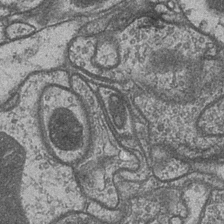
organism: Drosophila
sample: Optic medulla